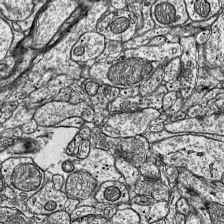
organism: Mouse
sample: Visual Cortex